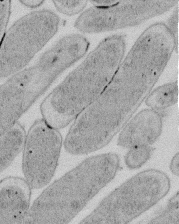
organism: E. coli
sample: Bacterial nucleoid